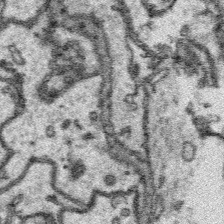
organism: Platynereis dumerilii